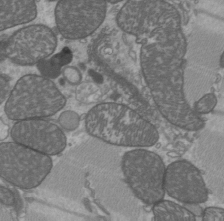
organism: C57BL Mouse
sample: Heart